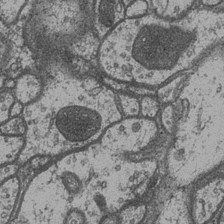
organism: Drosophila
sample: Optic medulla